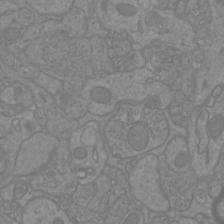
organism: Mouse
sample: Cortical neurons